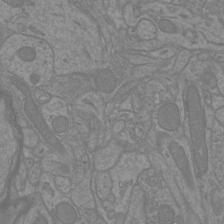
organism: Mouse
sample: Cortical neurons